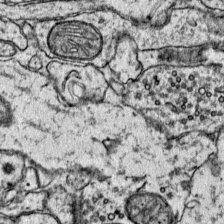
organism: Mouse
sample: Primary visual cortex